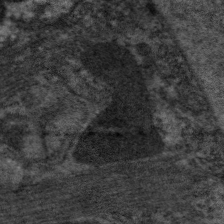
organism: C. elegans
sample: Pharynx